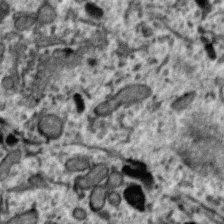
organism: Zebra finch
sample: Brain